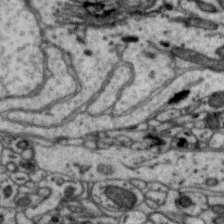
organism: Zebra finch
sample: Brain